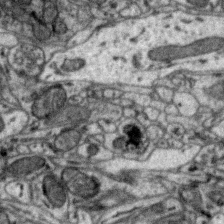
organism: Zebra finch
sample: Brain